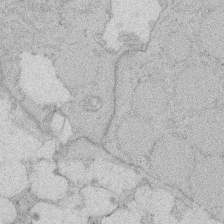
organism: Rat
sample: Salivary granule